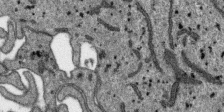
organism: Human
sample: Lung epithelial cells, uninfected (mock) control